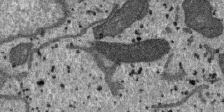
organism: Human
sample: Lung epithelial cells, uninfected (mock) control